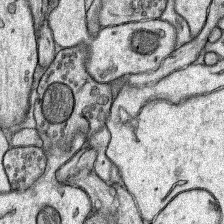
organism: Rat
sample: Hippocampus